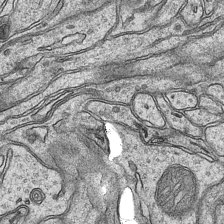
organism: Mouse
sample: CA1 Hippocampus